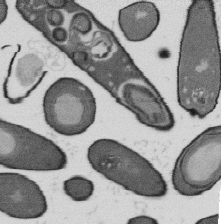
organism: B. subtilis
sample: Bacterial spore